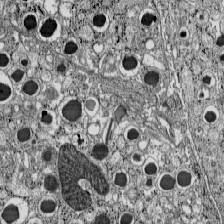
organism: C57BL Mouse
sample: Pancreatic islet